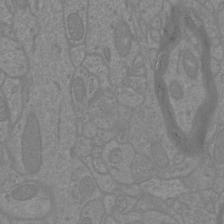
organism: Mouse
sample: Cortical neurons